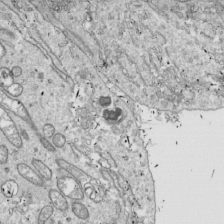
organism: Drosophila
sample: Cell division; meiosis; drosophila spermatocytes